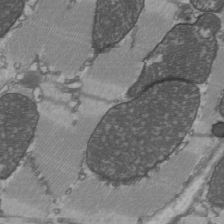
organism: C57BL Mouse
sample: Heart